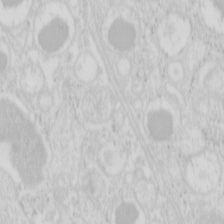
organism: Mouse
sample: Pancreas